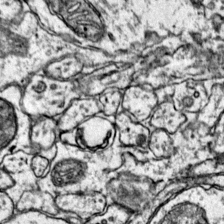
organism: Mouse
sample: Primary visual cortex